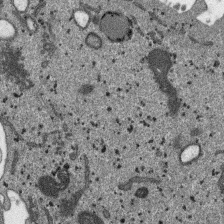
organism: Human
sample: Lung epithelial cells infected with SARS-CoV-2